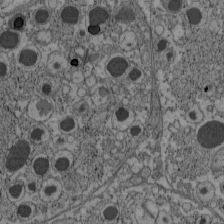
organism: C57BL Mouse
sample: Pancreatic islet